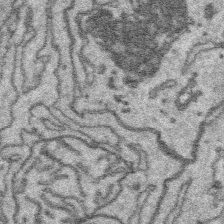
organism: Platynereis dumerilii